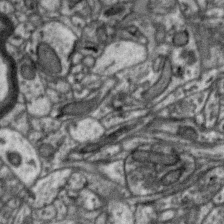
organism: Zebra finch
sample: Brain